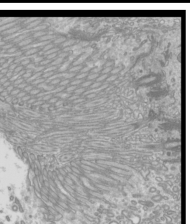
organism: Mouse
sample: Cilia; mouse epididymis